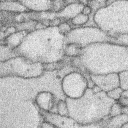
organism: Rabbit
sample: Retina